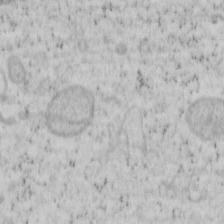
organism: Human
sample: HeLa cells